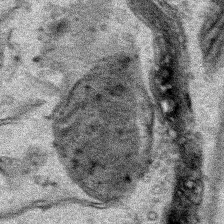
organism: Human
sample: Mitochondria in HCT116 cells